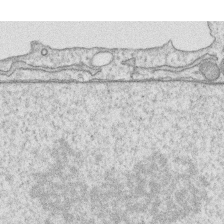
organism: Human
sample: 1205lu cells